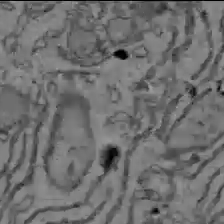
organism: C57BL Mouse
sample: Liver